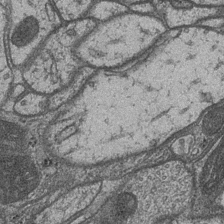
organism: Drosophila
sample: Optic medulla